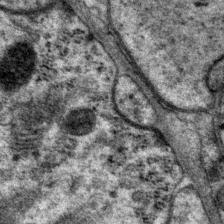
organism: P. pacificus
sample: Pharynx